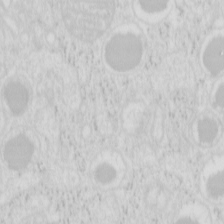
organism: Mouse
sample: Pancreas